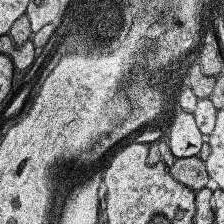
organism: Human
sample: Temporal Lobe